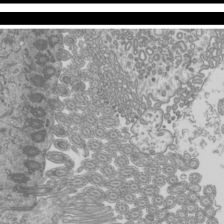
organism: Mouse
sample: Cilia; mouse epididymis